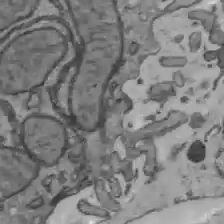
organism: C57BL Mouse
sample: Liver